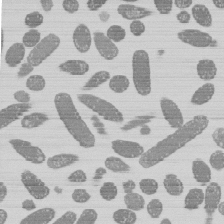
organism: E. coli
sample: Bacterial nucleoid